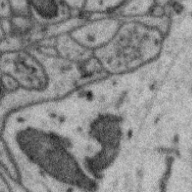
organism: Zebra finch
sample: Brain